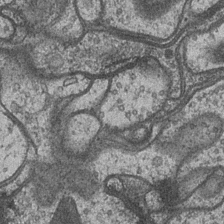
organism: Drosophila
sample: Optic medulla